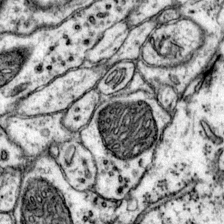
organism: Mouse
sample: Primary visual cortex